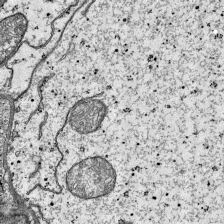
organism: Mouse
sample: Visual Cortex